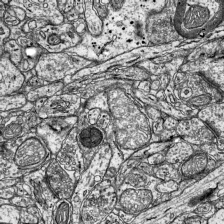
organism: Mouse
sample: Visual Cortex